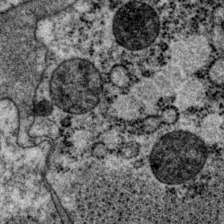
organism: P. pacificus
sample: Pharynx